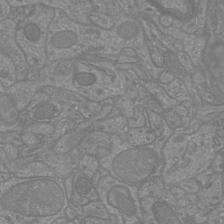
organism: Mouse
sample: Cortical neurons